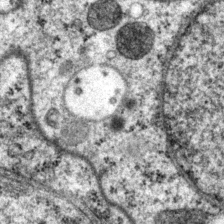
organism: P. pacificus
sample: Pharynx